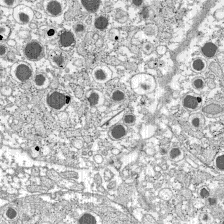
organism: C57BL Mouse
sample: Pancreatic islet